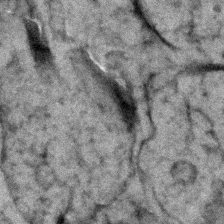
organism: Zebrafish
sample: Zebrafish embryo